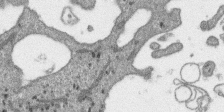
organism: Human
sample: Lung epithelial cells infected with SARS-CoV-2